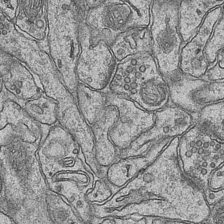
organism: Mouse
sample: CA1 Hippocampus